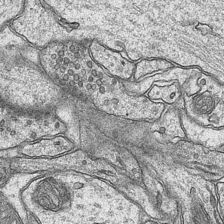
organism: Mouse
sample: CA1 Hippocampus